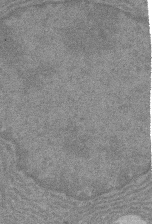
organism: Rat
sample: Salivary granule